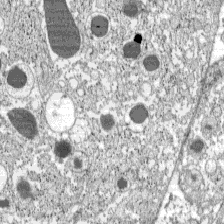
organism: C57BL Mouse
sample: Pancreatic islet